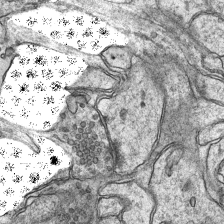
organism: Mouse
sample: CA1 Hippocampus